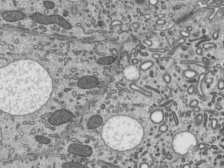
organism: Mouse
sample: Mouse epididymis efferent ductule cilia